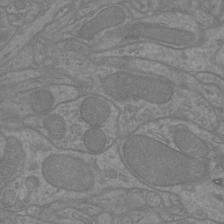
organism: Mouse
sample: Cortical neurons